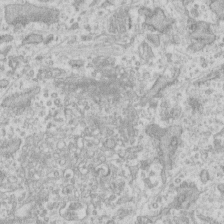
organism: Human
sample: Fibroblast cells